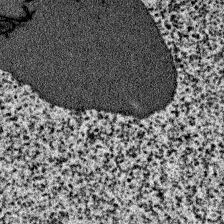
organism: Zebrafish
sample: Larval olfactory bulb